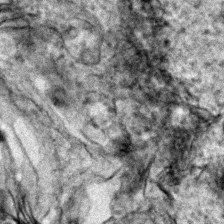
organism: Zebrafish